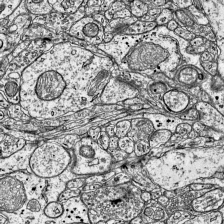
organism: Mouse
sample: Visual Cortex